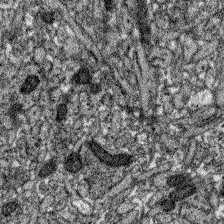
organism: Zebrafish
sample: Larval olfactory bulb